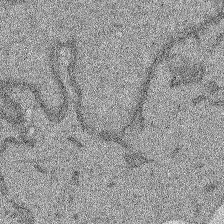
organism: Human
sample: HeLa cells